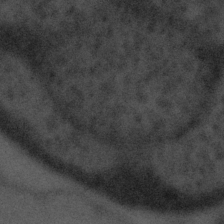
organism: Tuwongella immobilis